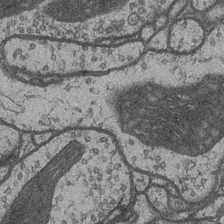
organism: Drosophila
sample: Optic medulla